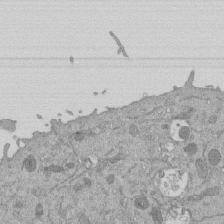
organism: Mouse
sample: ED-1 cell nuclei; centrioles